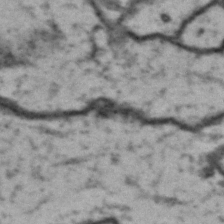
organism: Drosophila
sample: Brain